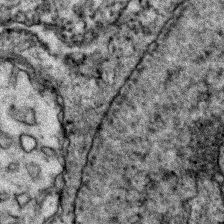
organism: Zebrafish